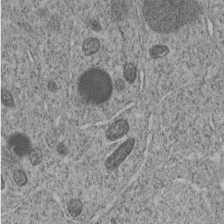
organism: C. elegans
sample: C. elegans embryo early stage